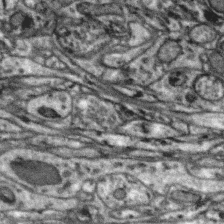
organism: Zebra finch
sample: Brain